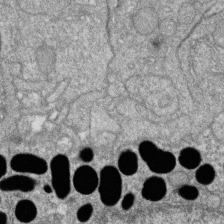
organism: Zebrafish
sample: Cilia; retinal pigment epithelium